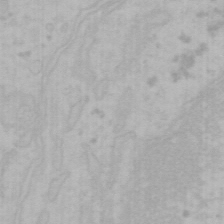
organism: Mouse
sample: Choroid plexus